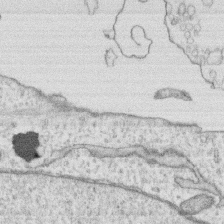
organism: Human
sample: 1205lu cells